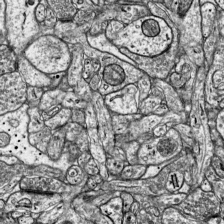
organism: Mouse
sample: Visual Cortex